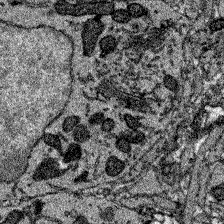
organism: Zebrafish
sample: Larval olfactory bulb